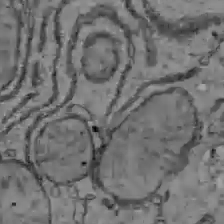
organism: C57BL Mouse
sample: Liver